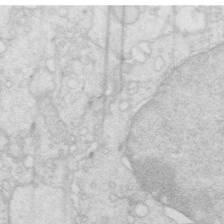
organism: Mouse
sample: Multiciliated cells